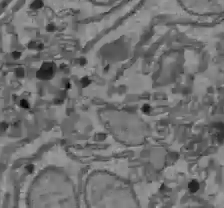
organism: C57BL Mouse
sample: Liver